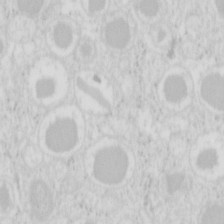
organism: Mouse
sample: Pancreas